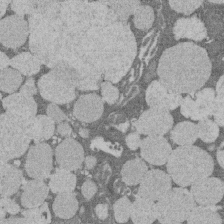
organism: Rat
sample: Salivary granule